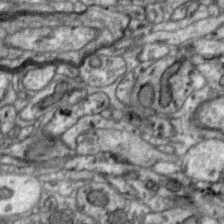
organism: Zebra finch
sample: Brain